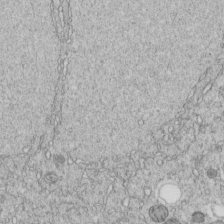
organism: C. elegans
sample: C. elegans embryo early stage